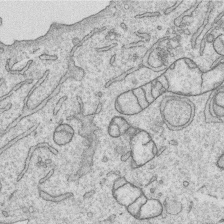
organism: Human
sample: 1205lu cells